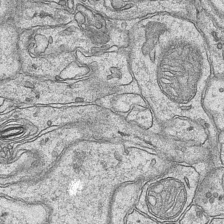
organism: Mouse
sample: CA1 Hippocampus